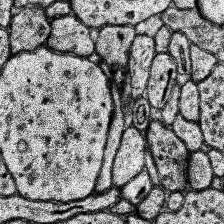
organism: Human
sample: Temporal Lobe